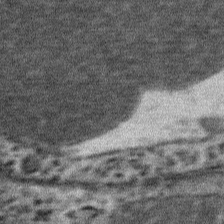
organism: Mouse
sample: Mouse Salivary gland